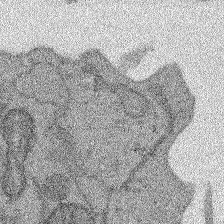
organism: Human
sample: HeLa cells